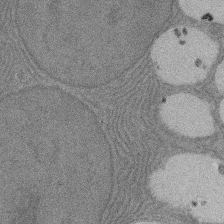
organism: Rat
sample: Salivary granule